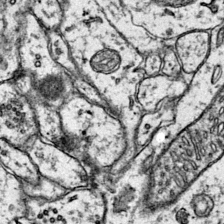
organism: Mouse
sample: Primary visual cortex